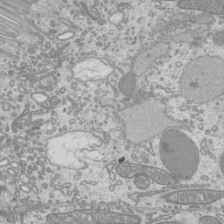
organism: Mouse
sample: Cilia; mouse epididymis